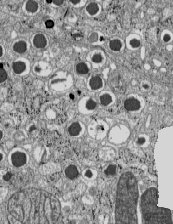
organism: C57BL Mouse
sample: Pancreatic islet